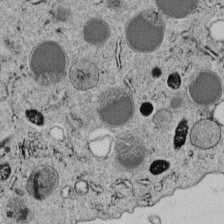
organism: C. elegans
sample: C. elegans embryo early stage